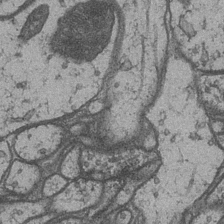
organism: Drosophila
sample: Optic medulla